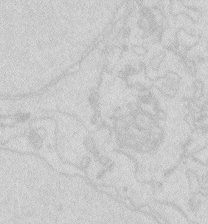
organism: Zebrafish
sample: Macrophage